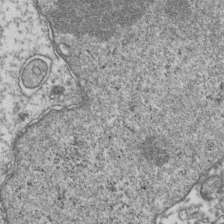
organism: Human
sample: Activated Jurkat CD4+ T cells